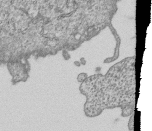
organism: Human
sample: MDA-MB-231 cells